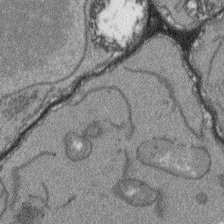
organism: Arabidopsis thaliana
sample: Root tip